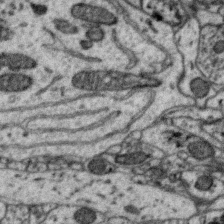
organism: Zebra finch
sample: Brain